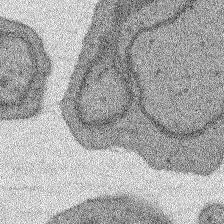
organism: Human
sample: HeLa cells